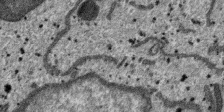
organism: Human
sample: Lung epithelial cells, uninfected (mock) control